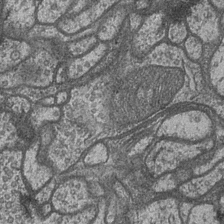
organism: Drosophila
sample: Optic medulla